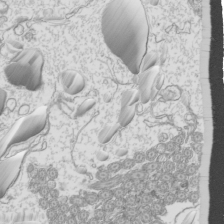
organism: Mouse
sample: Cilia; mouse epididymis